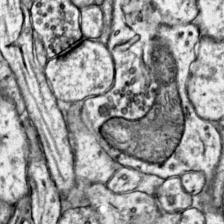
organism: Mouse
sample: Primary visual cortex